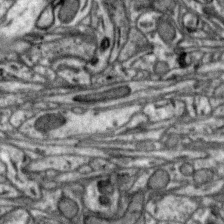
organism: Zebra finch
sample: Brain